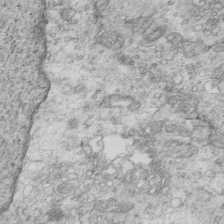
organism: Mouse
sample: Multiciliated cells